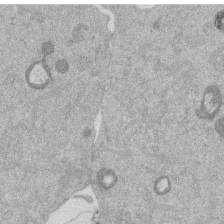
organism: Mouse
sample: Dividing mouse embryo 1 cell stage